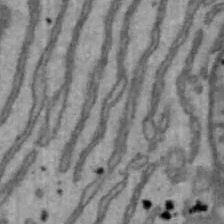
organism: Mouse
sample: Liver